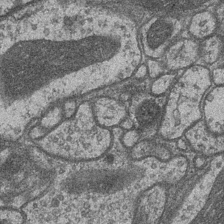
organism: Drosophila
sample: Optic medulla